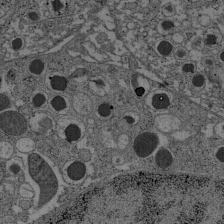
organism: C57BL Mouse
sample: Pancreatic islet